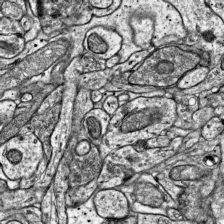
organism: Mouse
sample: Visual Cortex